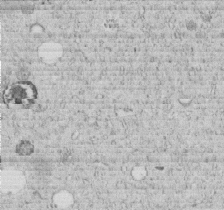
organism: C. elegans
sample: C. elegans embryo early stage